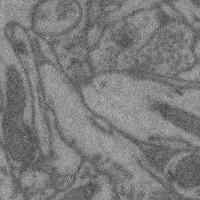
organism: Mouse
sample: Cerebral cortex